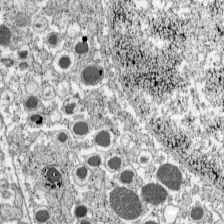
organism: C57BL Mouse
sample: Pancreatic islet